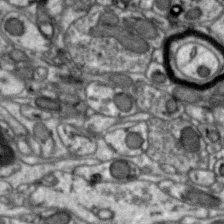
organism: Zebra finch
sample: Brain